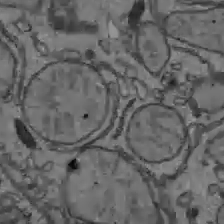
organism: C57BL Mouse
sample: Liver